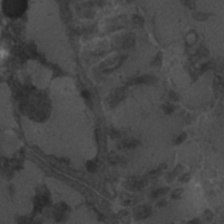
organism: C. elegans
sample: C. elegans embryo